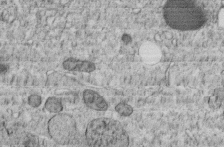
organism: C. elegans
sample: C. elegans embryo early stage